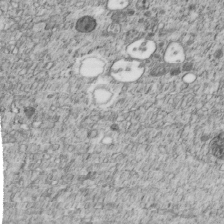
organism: C. elegans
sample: C. elegans embryo early stage